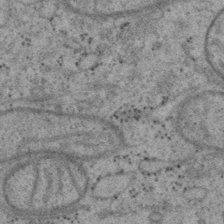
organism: Human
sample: HeLa cells